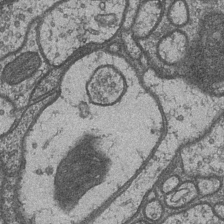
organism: Drosophila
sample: Optic medulla